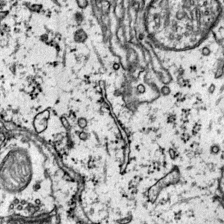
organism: Mouse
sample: Primary visual cortex